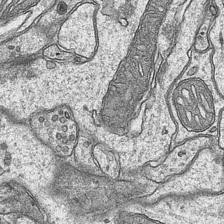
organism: Mouse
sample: CA1 Hippocampus